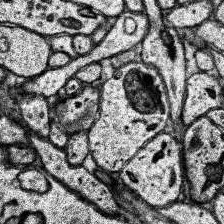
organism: Human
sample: Temporal Lobe